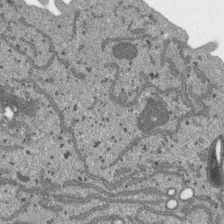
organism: Human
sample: Lung epithelial cells infected with SARS-CoV-2